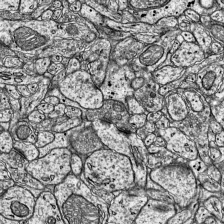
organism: Mouse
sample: Visual Cortex